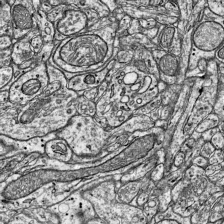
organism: Mouse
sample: Visual Cortex